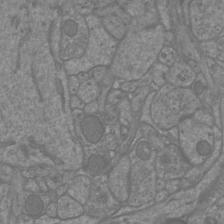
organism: Mouse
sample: Cortical neurons